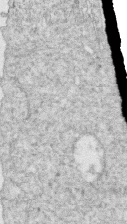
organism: Human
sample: HeLa cell HIV synapse